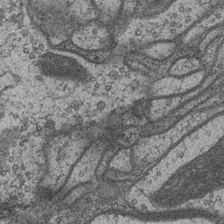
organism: Drosophila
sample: Optic medulla